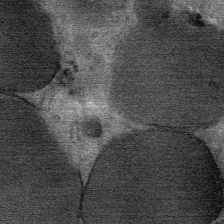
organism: Mouse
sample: Mouse Salivary gland